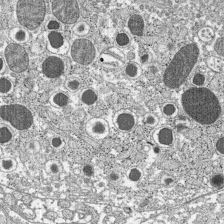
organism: C57BL Mouse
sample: Pancreatic islet